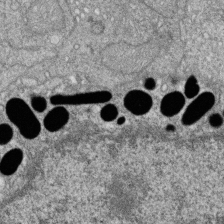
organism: Zebrafish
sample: Cilia; retinal pigment epithelium